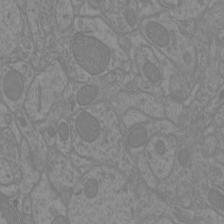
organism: Mouse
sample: Cortical neurons